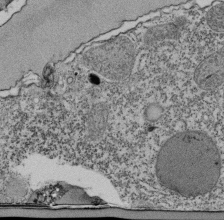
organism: Tetrahymena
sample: Cilia in tetrahymena